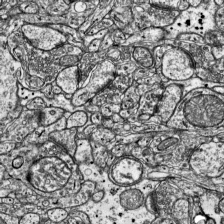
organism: Mouse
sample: Visual Cortex